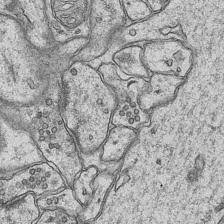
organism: Mouse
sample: CA1 Hippocampus